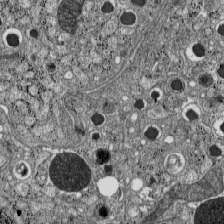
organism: C57BL Mouse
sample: Pancreatic islet